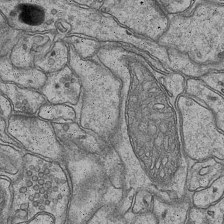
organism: Mouse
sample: CA1 Hippocampus